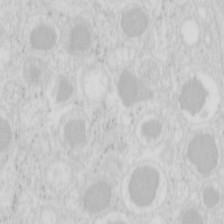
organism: Mouse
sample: Pancreas